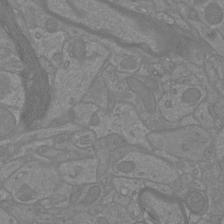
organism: Mouse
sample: Cortical neurons